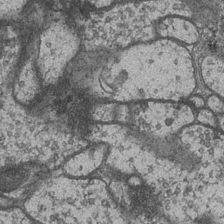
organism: Drosophila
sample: Optic medulla